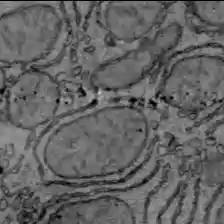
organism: C57BL Mouse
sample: Liver